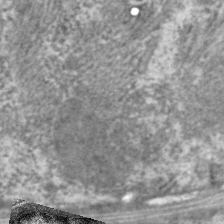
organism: C. elegans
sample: Pharynx